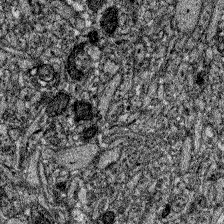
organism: Zebrafish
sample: Larval olfactory bulb